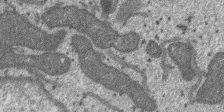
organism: Human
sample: Lung epithelial cells infected with SARS-CoV-2